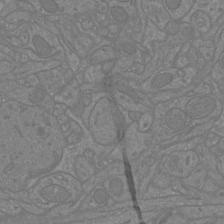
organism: Mouse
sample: Cortical neurons